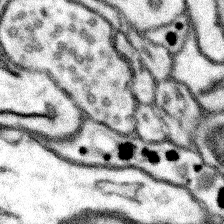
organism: Mouse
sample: Somatosensory cortex neuropil